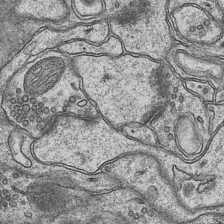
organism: Mouse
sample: CA1 Hippocampus